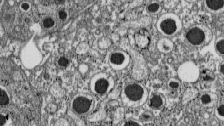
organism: C57BL Mouse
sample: Pancreatic islet